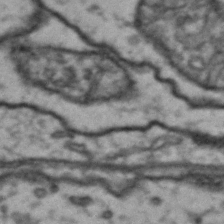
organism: Drosophila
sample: Brain